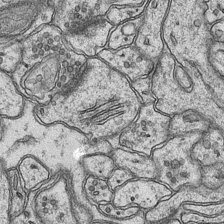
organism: Mouse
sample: CA1 Hippocampus